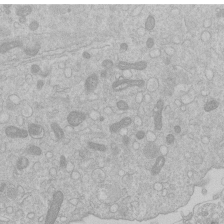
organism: Human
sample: Macrophage cells